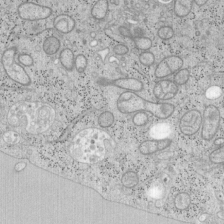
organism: Mouse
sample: OT-I killer T cells with ID8 ovarian cancer cells